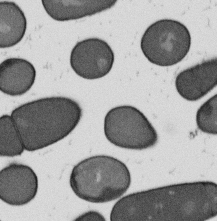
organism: B. subtilis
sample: Bacterial spore